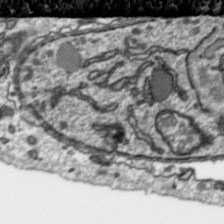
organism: Toxoplasma gondii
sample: Parasites in a vacuole inside a host cell